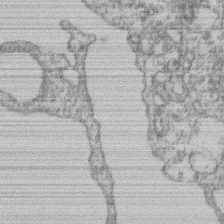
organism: Mouse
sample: T cell stromal cell synapse